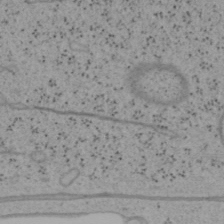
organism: Human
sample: HeLa cells